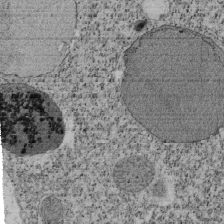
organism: Tetrahymena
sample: Cilia in tetrahymena